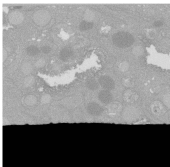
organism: C. elegans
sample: C. elegans oocyte; sperm cells